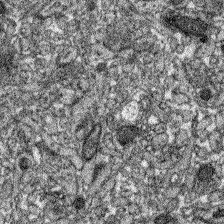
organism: Zebrafish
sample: Larval olfactory bulb